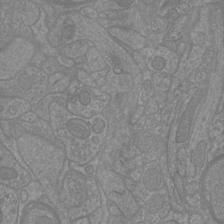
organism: Mouse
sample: Cortical neurons